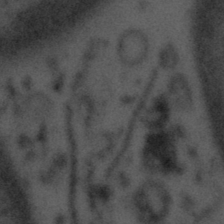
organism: Tuwongella immobilis